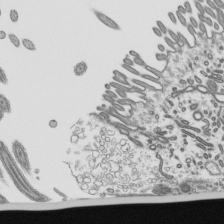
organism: Mouse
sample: Mouse epididymis efferent ductule cilia